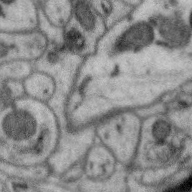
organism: Zebra finch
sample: Brain